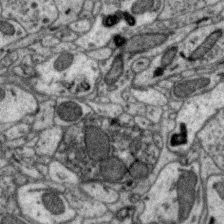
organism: Zebra finch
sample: Brain